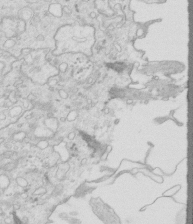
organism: Mouse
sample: Multiciliated cells